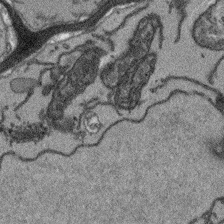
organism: Arabidopsis thaliana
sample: Root tip